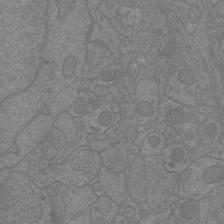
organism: Mouse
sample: Cortical neurons